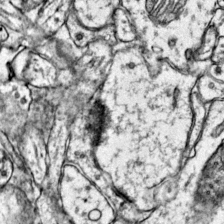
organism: Mouse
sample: Primary visual cortex